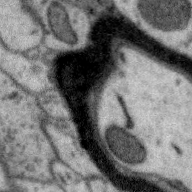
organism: Zebra finch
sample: Brain